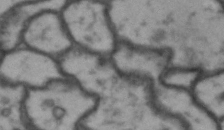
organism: Drosophila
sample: Brain